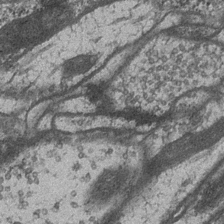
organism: Drosophila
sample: Optic medulla